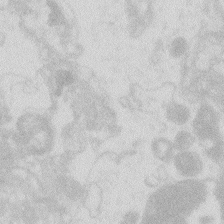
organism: Zebrafish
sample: Macrophage